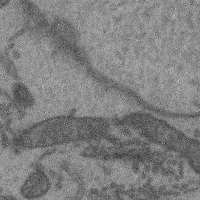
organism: Mouse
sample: Cerebral cortex